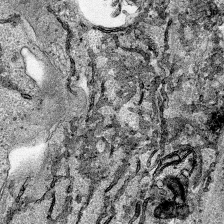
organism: Human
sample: Mitochondria in HCT116 cells